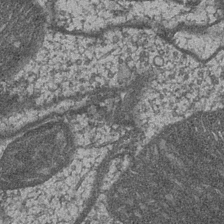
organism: Drosophila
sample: Optic medulla